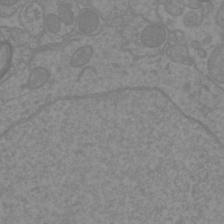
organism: Mouse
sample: Cortical neurons